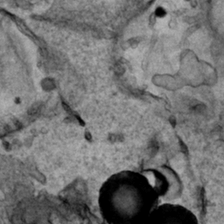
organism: Human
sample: Mitochondria in HCT116 cells